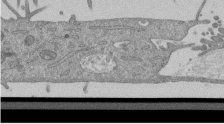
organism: Mouse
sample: ED-1 cell nuclei; centrioles